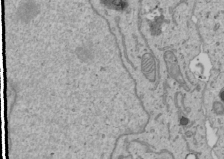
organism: Human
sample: Mitochondria in U2OS cells